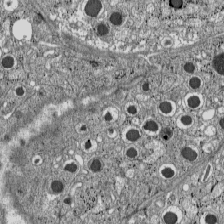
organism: C57BL Mouse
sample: Pancreatic islet